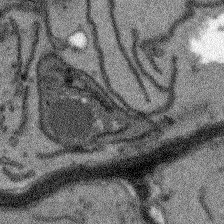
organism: Arabidopsis thaliana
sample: Root tip